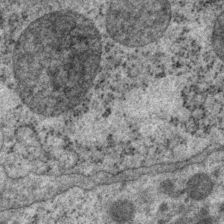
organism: P. pacificus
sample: Pharynx